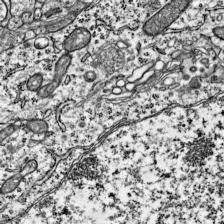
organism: Mouse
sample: Visual Cortex